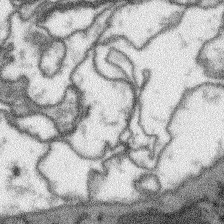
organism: Arabidopsis thaliana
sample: Root tip